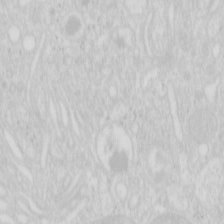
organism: Mouse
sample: Pancreas